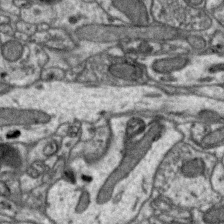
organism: Zebra finch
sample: Brain